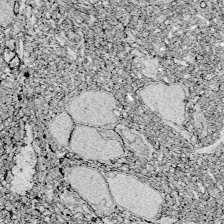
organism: Zebrafish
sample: Whole-Brain